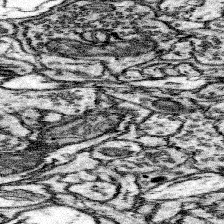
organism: Mouse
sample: Somatosensory cortex neuropil